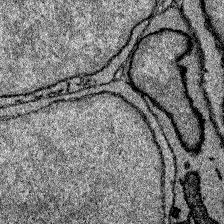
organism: Zebrafish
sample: Larval olfactory bulb